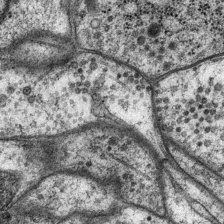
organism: P. pacificus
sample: Pharynx